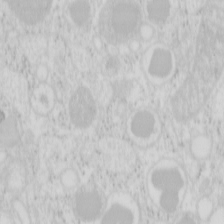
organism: Mouse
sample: Pancreas